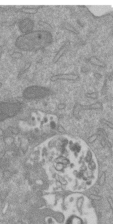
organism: Mouse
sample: ED-1 cell nuclei; centrioles